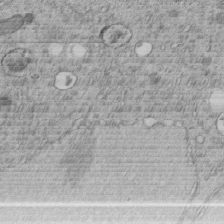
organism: C. elegans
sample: C. elegans embryo early stage